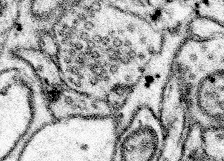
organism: Mouse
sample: Somatosensory cortex neuropil